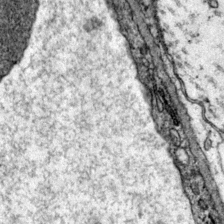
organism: Mouse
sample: Primary visual cortex